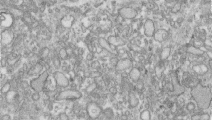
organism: Human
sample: Centriole in RPE cells